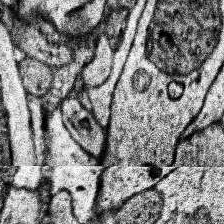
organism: Human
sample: Temporal Lobe